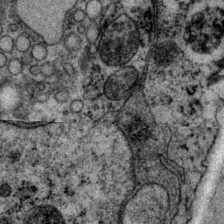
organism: P. pacificus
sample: Pharynx